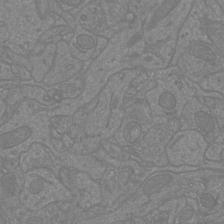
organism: Mouse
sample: Cortical neurons